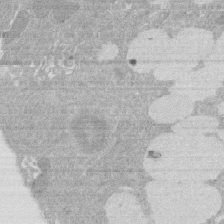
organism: Rat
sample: Salivary granule